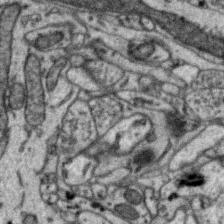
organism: Zebra finch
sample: Brain